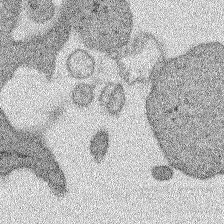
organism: Human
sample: HeLa cells